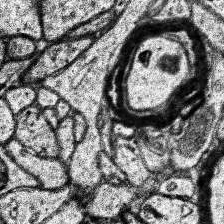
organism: Human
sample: Temporal Lobe